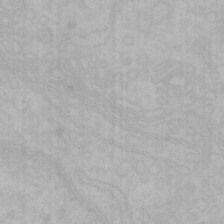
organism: Mouse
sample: Choroid plexus